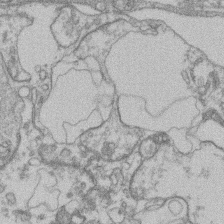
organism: Mouse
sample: T cell stromal cell synapse